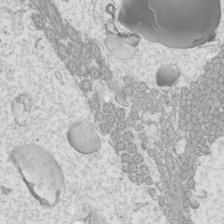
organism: Mouse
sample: Cilia; mouse epididymis